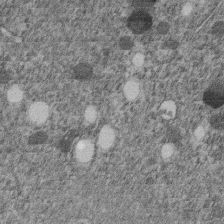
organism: C. elegans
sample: C. elegans embryo early stage